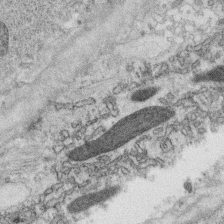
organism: C. elegans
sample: C. elegans oocyte; sperm cells